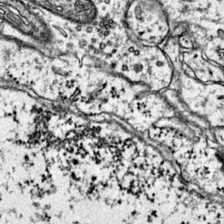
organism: Mouse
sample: Primary visual cortex